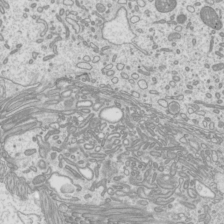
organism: Mouse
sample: Cilia; mouse epididymis